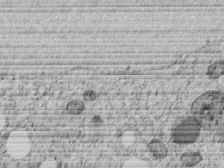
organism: C. elegans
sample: C. elegans embryo early stage